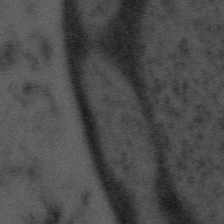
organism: Tuwongella immobilis